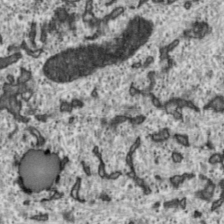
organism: Toxoplasma gondii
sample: Parasites in a vacuole inside a host cell